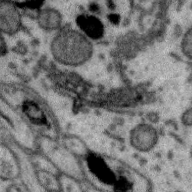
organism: Zebra finch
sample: Brain